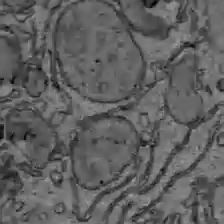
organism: C57BL Mouse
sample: Liver